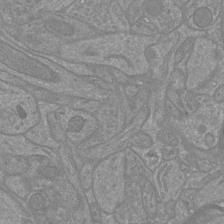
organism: Mouse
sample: Cortical neurons